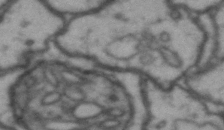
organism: Drosophila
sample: Brain